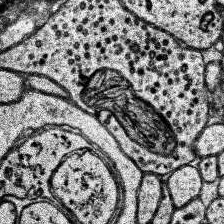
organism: Human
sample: Temporal Lobe